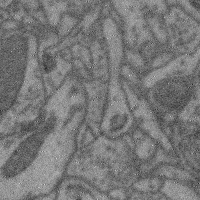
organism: Mouse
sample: Cerebral cortex